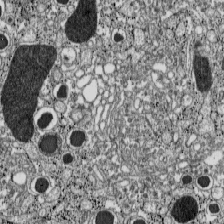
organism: C57BL Mouse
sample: Pancreatic islet